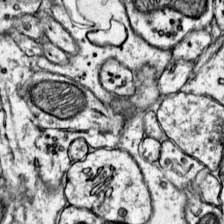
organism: Mouse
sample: Primary visual cortex